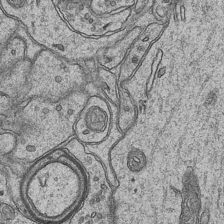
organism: Mouse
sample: CA1 Hippocampus